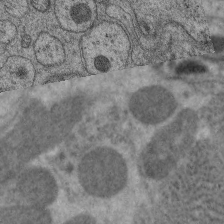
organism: C. elegans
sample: Pharynx